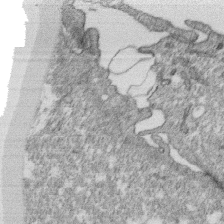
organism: African green monkey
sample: Vero E6 cells infected with SARS-CoV-2